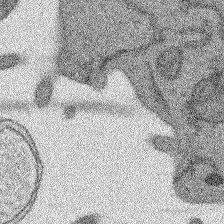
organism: Human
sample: HeLa cells